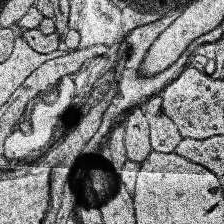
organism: Human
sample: Temporal Lobe